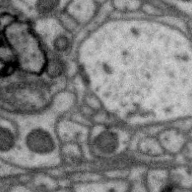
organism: Zebra finch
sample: Brain